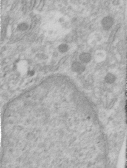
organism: Human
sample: Centriole in RPE cells